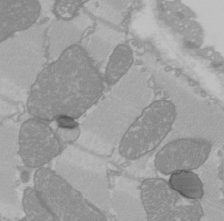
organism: C57BL Mouse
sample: Heart